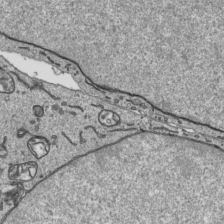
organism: Human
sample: Mitochondria in HCT116 cells